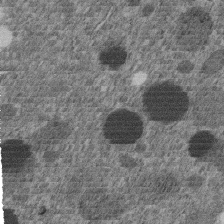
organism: C. elegans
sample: C. elegans embryo early stage